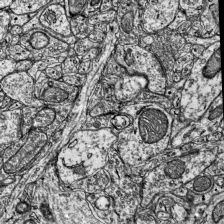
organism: Mouse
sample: Visual Cortex